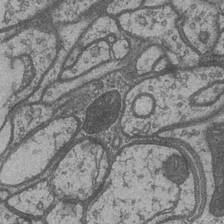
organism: Drosophila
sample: Optic medulla